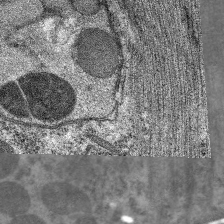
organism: C. elegans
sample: Pharynx